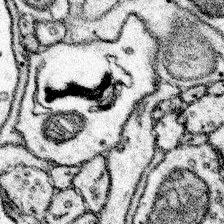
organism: Mouse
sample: Somatosensory cortex neuropil